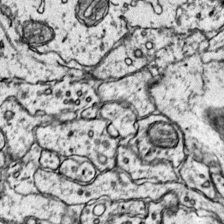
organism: Mouse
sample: Primary visual cortex